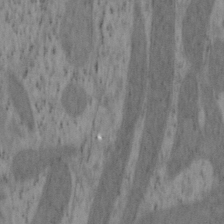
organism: Mouse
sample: OT-I killer T cells with ID8 ovarian cancer cells